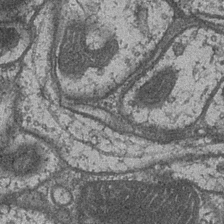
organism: Drosophila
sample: Optic medulla